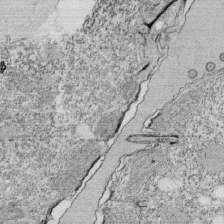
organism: Tetrahymena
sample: Cilia in tetrahymena